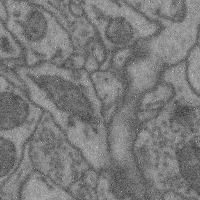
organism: Mouse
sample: Cerebral cortex